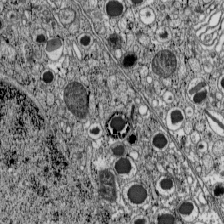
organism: C57BL Mouse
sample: Pancreatic islet